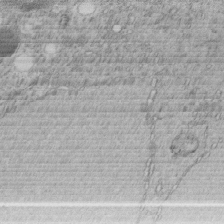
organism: C. elegans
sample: C. elegans embryo early stage